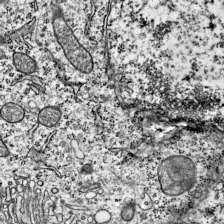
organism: Mouse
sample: Visual Cortex